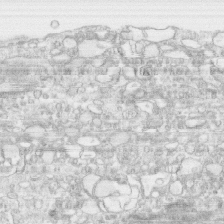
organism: Human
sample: CRL-1474